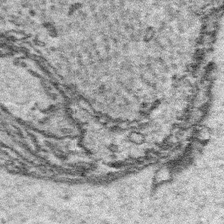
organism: Platynereis dumerilii